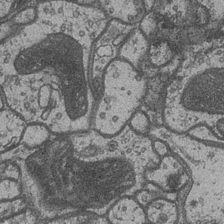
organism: Drosophila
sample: Optic medulla